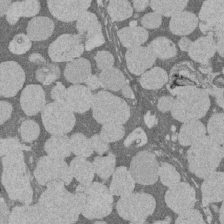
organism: Rat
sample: Salivary granule